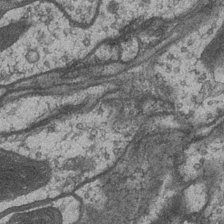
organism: Drosophila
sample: Optic medulla